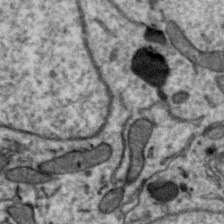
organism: Zebra finch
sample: Brain